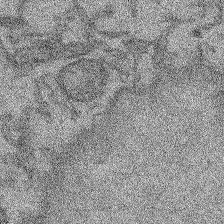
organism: Human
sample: HeLa cells